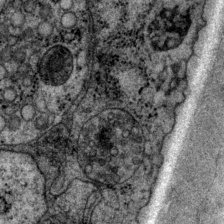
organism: P. pacificus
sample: Pharynx